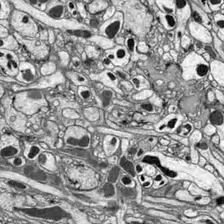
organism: Drosophila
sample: Optic lobe